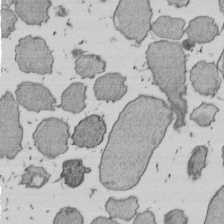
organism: E. coli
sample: Bacterial nucleoid